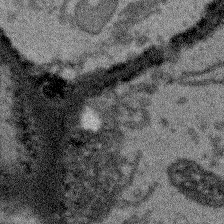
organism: Arabidopsis thaliana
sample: Root tip